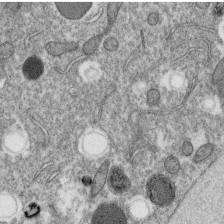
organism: C. elegans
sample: C. elegans oocyte; sperm cells